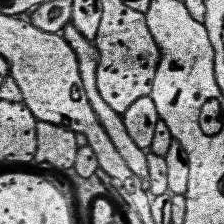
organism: Human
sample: Temporal Lobe